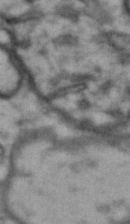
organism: Drosophila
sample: Brain